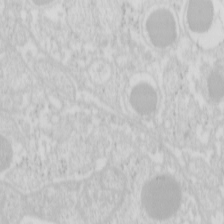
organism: Mouse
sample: Pancreas